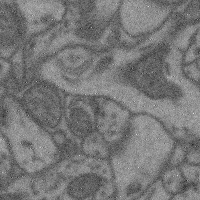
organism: Mouse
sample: Cerebral cortex